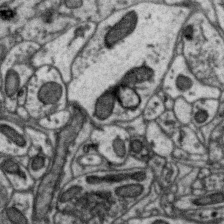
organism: Zebra finch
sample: Brain